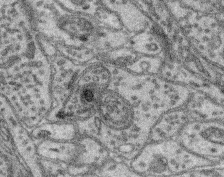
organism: Mouse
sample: Retina